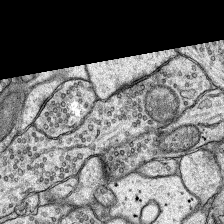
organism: Rat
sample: Hippocampus